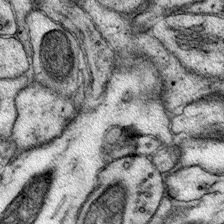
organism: Mouse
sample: Primary visual cortex